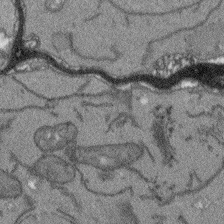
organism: Arabidopsis thaliana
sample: Root tip